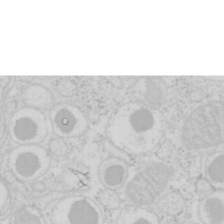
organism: Mouse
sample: Pancreas